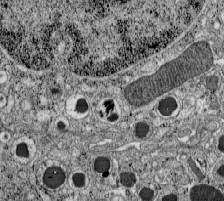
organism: C57BL Mouse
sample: Pancreatic islet